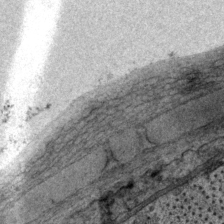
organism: P. pacificus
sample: Pharynx